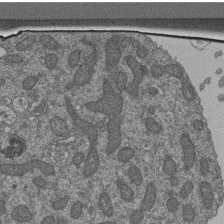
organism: Human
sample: Retinal organoid Rod and Cone cells